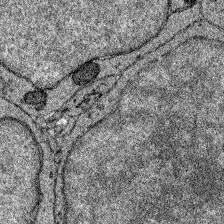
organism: Zebrafish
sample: Larval olfactory bulb